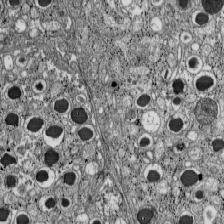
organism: C57BL Mouse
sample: Pancreatic islet